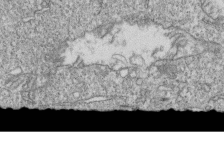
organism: Human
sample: HeLa cell HIV synapse